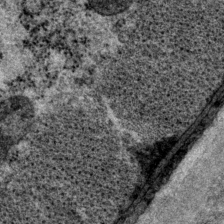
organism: P. pacificus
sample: Pharynx